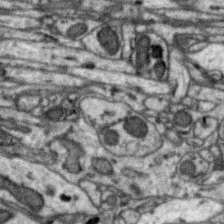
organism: Zebra finch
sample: Brain